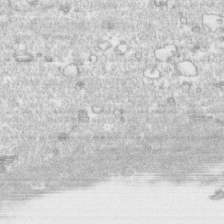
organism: Human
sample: CRL-1474